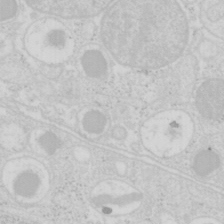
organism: Mouse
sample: Pancreas